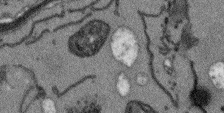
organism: Arabidopsis thaliana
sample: Root tip